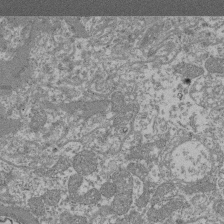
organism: Mouse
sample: Glomerulus